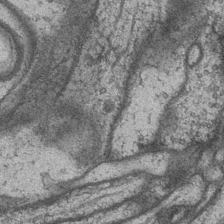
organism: Drosophila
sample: Optic medulla